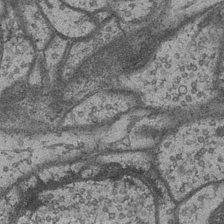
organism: Drosophila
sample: Optic medulla